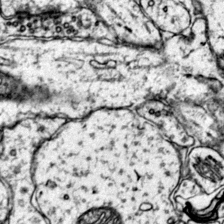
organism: Mouse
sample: Primary visual cortex